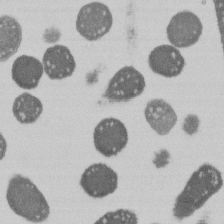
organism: E. coli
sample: Bacterial nucleoid